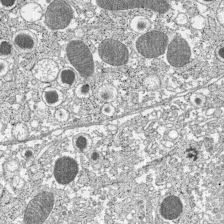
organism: C57BL Mouse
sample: Pancreatic islet